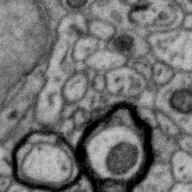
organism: Zebra finch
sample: Brain